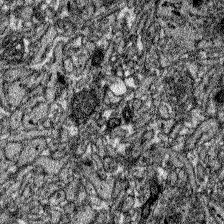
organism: Zebrafish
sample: Larval olfactory bulb